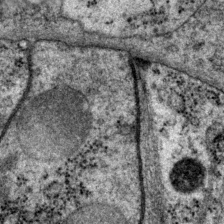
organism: P. pacificus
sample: Pharynx